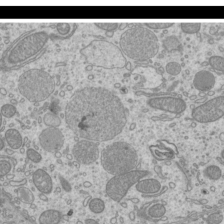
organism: Mouse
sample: Cilia; mouse epididymis